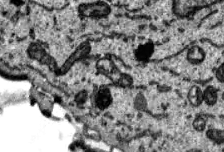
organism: Human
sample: HeLa cells